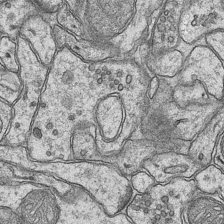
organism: Mouse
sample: CA1 Hippocampus